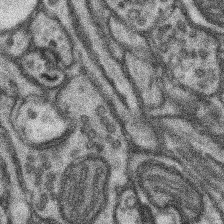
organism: Mouse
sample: Somatosensory cortex neuropil